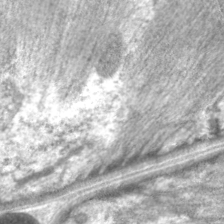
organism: C. elegans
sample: Pharynx